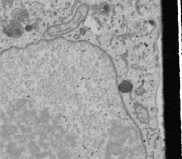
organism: Human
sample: Mitochondria in U2OS cells